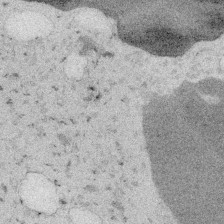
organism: Embia sp.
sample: Silk gland